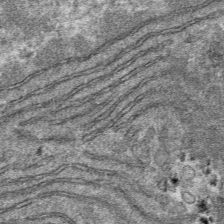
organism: Mouse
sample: Mouse hepatocytes